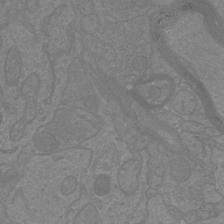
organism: Mouse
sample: Cortical neurons